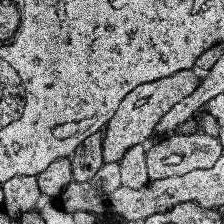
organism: Human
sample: Temporal Lobe